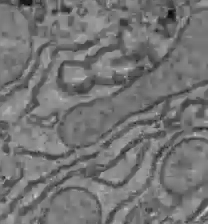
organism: C57BL Mouse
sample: Liver